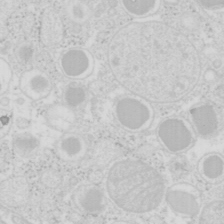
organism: Mouse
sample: Pancreas